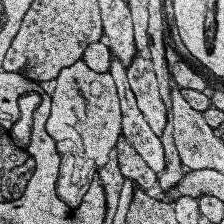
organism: Human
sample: Temporal Lobe